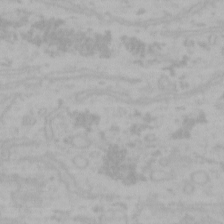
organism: Mouse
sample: Choroid plexus